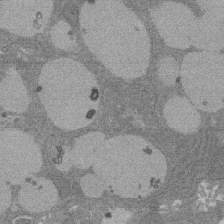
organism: Rat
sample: Salivary granule